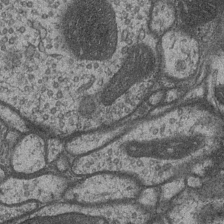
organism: Drosophila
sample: Optic medulla